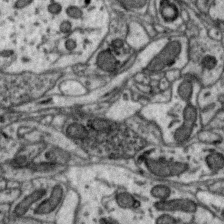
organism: Zebra finch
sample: Brain